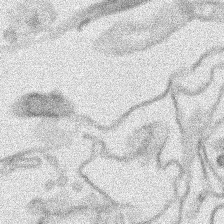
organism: Human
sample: Mitochondria in HCT116 cells